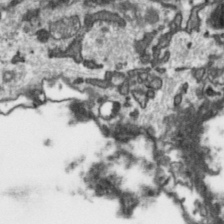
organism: Toxoplasma gondii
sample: Parasites in a vacuole inside a host cell